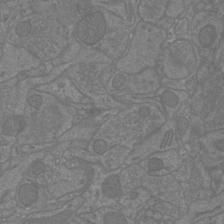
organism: Mouse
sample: Cortical neurons